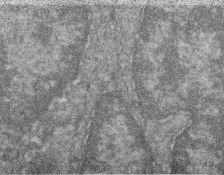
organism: Zebrafish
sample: Cilia; retinal pigment epithelium